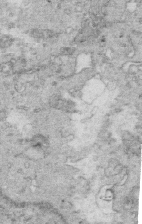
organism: Mouse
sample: Multiciliated cells